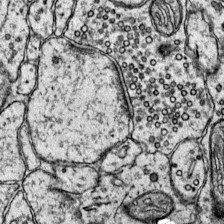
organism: Mouse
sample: Primary visual cortex